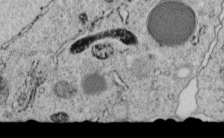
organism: C. elegans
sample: C. elegans embryo early stage